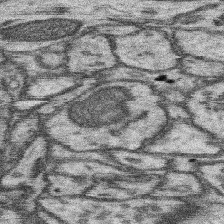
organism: Mouse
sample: Somatosensory cortex neuropil